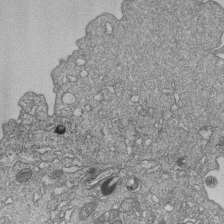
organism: Human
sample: MDA-MB-231 cells